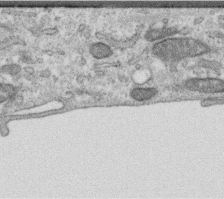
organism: Human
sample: Centriole in RPE cells